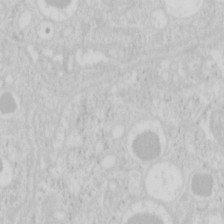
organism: Mouse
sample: Pancreas